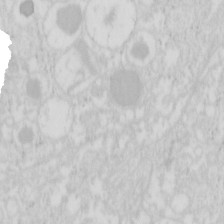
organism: Mouse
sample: Pancreas